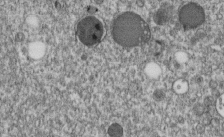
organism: C. elegans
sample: C. elegans embryo early stage